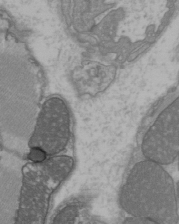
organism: C57BL Mouse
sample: Heart